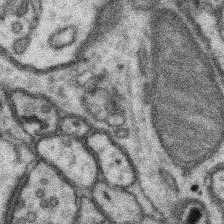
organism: Mouse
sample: Somatosensory cortex neuropil